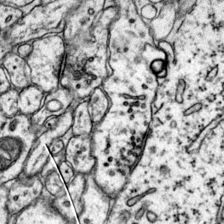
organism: Mouse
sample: Primary visual cortex